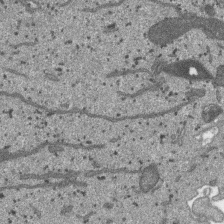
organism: Human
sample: Lung epithelial cells infected with SARS-CoV-2